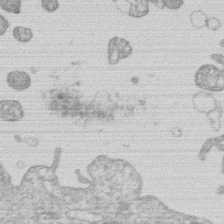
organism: Human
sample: Macrophage cells